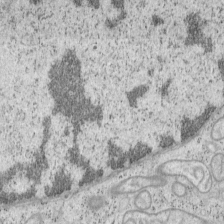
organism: Mouse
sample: OT-I killer T cells with ID8 ovarian cancer cells